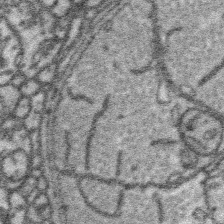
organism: Platynereis dumerilii